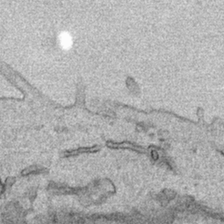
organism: Human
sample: Mitochondria in HCT116 cells